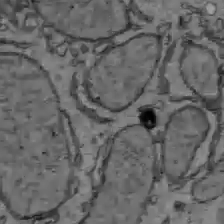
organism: C57BL Mouse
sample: Liver